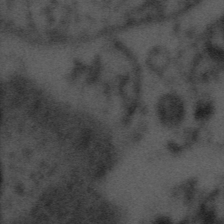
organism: Tuwongella immobilis